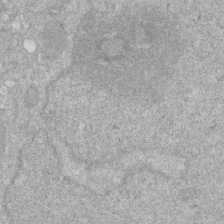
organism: Human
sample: HIV infected U937 cells